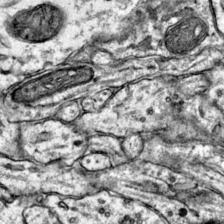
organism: Mouse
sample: Primary visual cortex